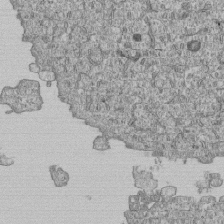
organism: Human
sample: MDA-MB-231 cells